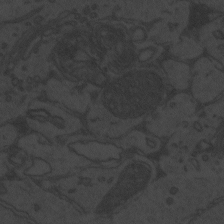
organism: Zebrafish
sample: Macrophage infected with Toxoplasma gondii